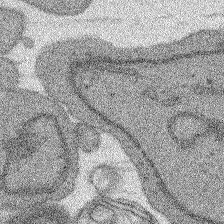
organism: Human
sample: HeLa cells